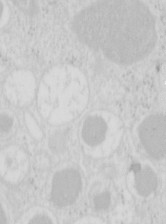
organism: Mouse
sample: Pancreas